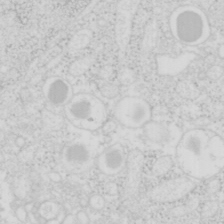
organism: Mouse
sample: Pancreas